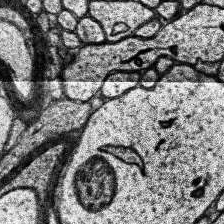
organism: Human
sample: Temporal Lobe